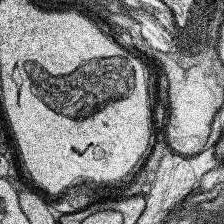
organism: Human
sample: Temporal Lobe